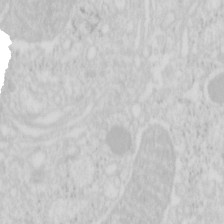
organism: Mouse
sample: Pancreas